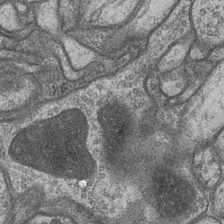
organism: Drosophila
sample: Optic medulla